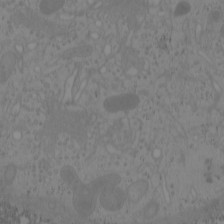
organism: Human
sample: HeLa cells